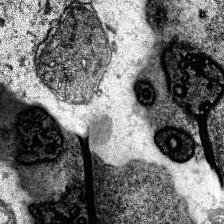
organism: Human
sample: Temporal Lobe